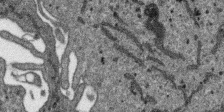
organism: Human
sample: Lung epithelial cells infected with SARS-CoV-2